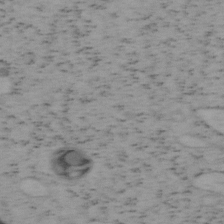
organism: Mouse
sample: OT-I killer T cells with ID8 ovarian cancer cells